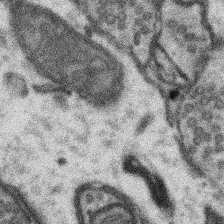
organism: Mouse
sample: Somatosensory cortex neuropil